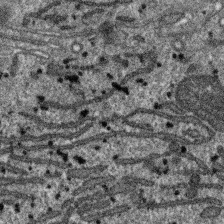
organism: Human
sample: Lung epithelial cells infected with SARS-CoV-2